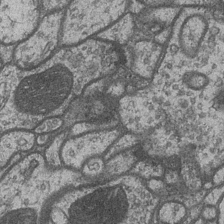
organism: Drosophila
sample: Optic medulla